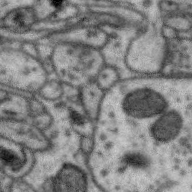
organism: Zebra finch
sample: Brain